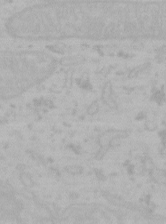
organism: Mouse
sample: Choroid plexus